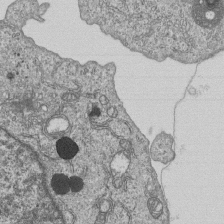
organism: Human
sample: MDA-MB-231 cells